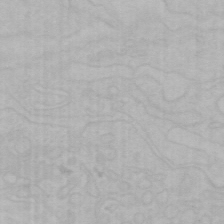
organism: Mouse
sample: Choroid plexus